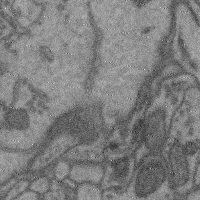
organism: Mouse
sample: Cerebral cortex